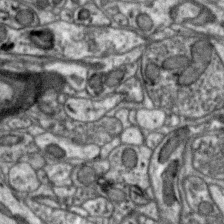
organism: Zebra finch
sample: Brain